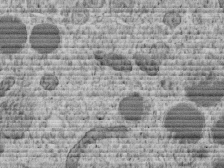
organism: C. elegans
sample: C. elegans embryo early stage